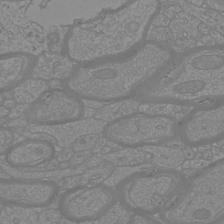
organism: Mouse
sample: Cortical neurons